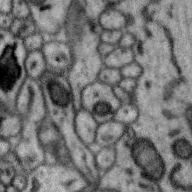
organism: Zebra finch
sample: Brain